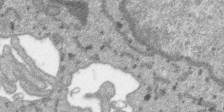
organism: Human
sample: Lung epithelial cells infected with SARS-CoV-2